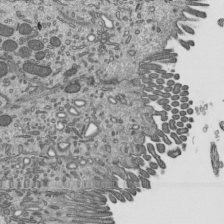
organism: Mouse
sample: Mouse epididymis efferent ductule cilia